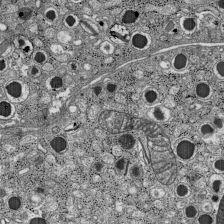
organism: C57BL Mouse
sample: Pancreatic islet